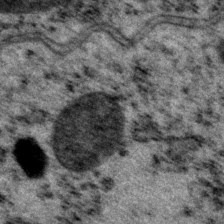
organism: P. pacificus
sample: Pharynx